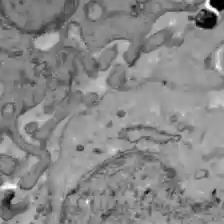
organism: C57BL Mouse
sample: Liver